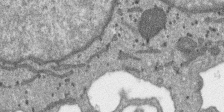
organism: Human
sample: Lung epithelial cells infected with SARS-CoV-2